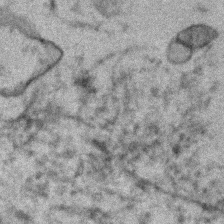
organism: Human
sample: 1205lu cells